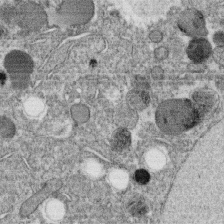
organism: C. elegans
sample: C. elegans oocyte; sperm cells